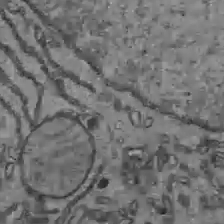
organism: C57BL Mouse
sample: Liver